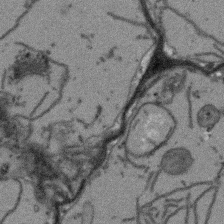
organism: Arabidopsis thaliana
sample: Root tip